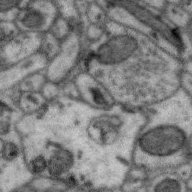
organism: Zebra finch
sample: Brain